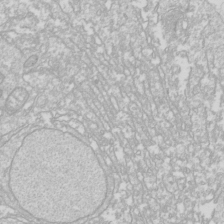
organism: Drosophila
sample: Cell division; meiosis; drosophila spermatocytes